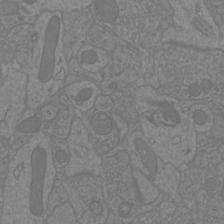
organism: Mouse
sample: Cortical neurons